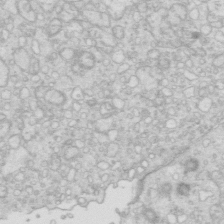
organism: Mouse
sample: Multiciliated cells